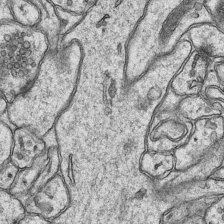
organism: Mouse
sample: CA1 Hippocampus